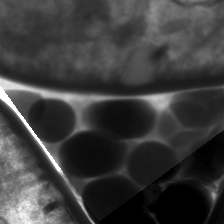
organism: C. elegans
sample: Pharynx